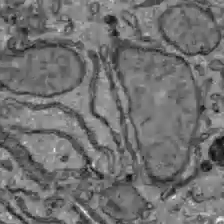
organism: C57BL Mouse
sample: Liver